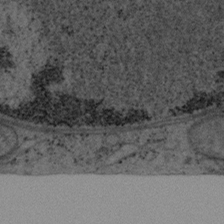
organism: Human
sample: HeLa cells